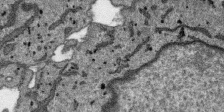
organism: Human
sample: Lung epithelial cells, uninfected (mock) control